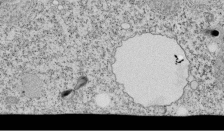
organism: Tetrahymena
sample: Cilia in tetrahymena